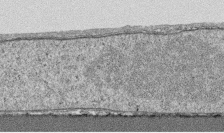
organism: Human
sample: CRL-1474